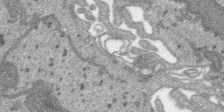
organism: Human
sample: Lung epithelial cells infected with SARS-CoV-2